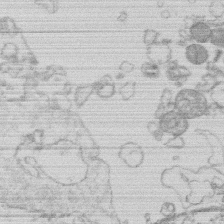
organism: Human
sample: Macrophage cells